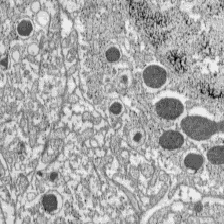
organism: C57BL Mouse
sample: Pancreatic islet